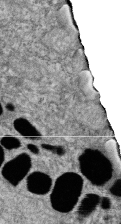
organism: Zebrafish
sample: Cilia; retinal pigment epithelium